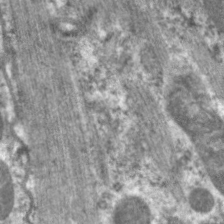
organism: C. elegans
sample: Pharynx